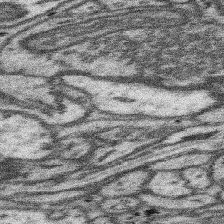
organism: Mouse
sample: Somatosensory cortex neuropil